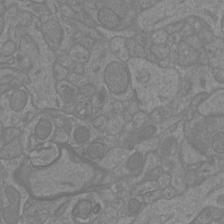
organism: Mouse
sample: Cortical neurons